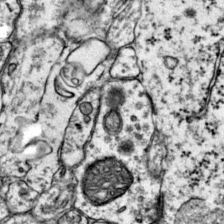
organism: Mouse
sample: Primary visual cortex